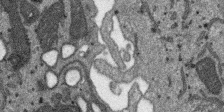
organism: Human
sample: Lung epithelial cells infected with SARS-CoV-2